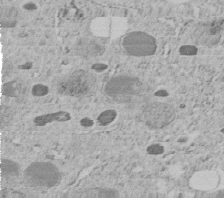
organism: C. elegans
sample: C. elegans embryo early stage